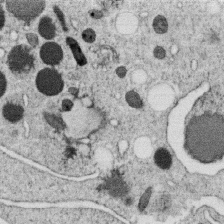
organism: C. elegans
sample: C. elegans oocyte; sperm cells